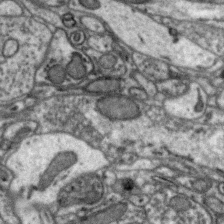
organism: Zebra finch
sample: Brain